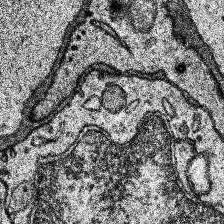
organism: Human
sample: Temporal Lobe